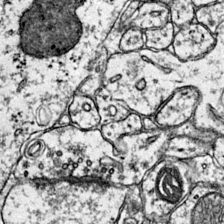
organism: Mouse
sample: Primary visual cortex